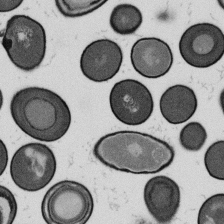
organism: B. subtilis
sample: Bacterial spore